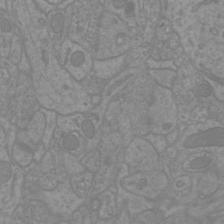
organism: Mouse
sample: Cortical neurons